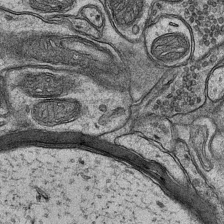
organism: Mouse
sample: CA1 Hippocampus